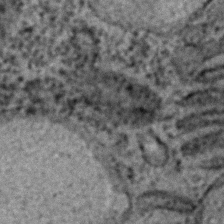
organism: C. elegans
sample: C. elegans embryo